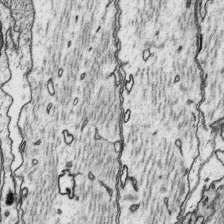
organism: Platynereis dumerilii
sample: Parapodia